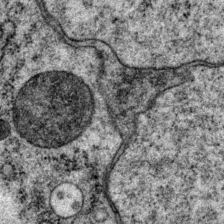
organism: P. pacificus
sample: Pharynx